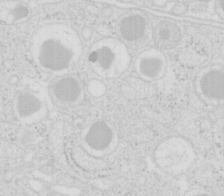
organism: Mouse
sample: Pancreas